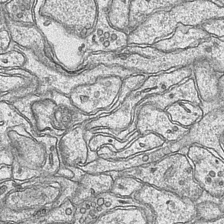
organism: Mouse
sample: CA1 Hippocampus